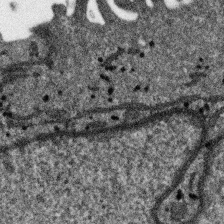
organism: Human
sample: Lung epithelial cells infected with SARS-CoV-2